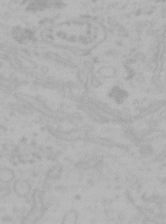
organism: Mouse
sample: Choroid plexus